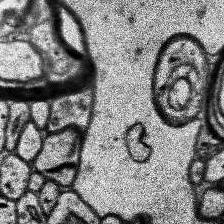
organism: Human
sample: Temporal Lobe